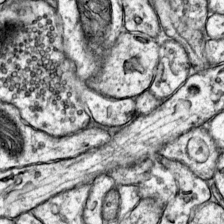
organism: Mouse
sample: Primary visual cortex